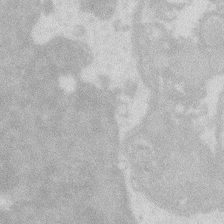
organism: Zebrafish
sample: Macrophage